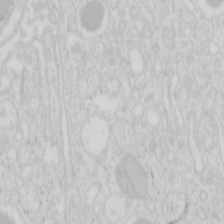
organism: Mouse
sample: Pancreas